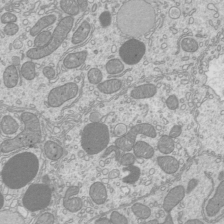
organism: Mouse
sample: Cilia; mouse epididymis